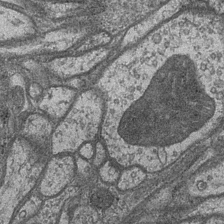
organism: Drosophila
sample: Optic medulla